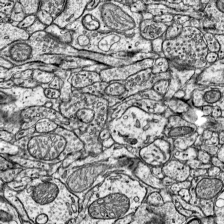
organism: Mouse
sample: Visual Cortex